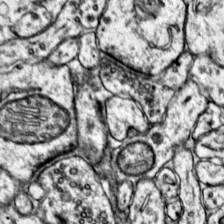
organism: Mouse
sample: Primary visual cortex